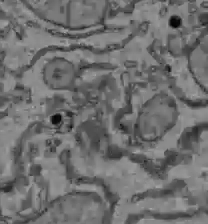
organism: C57BL Mouse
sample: Liver